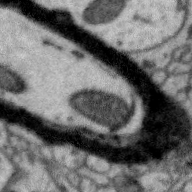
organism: Zebra finch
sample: Brain